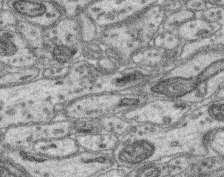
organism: Mouse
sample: Retina